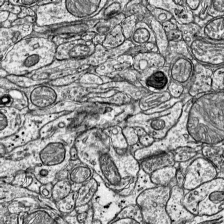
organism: Mouse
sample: Visual Cortex